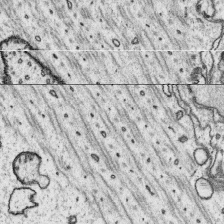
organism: Platynereis dumerilii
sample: Parapodia